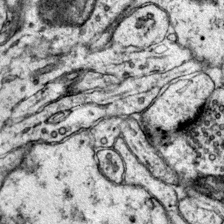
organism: Mouse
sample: Primary visual cortex